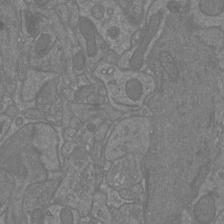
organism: Mouse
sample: Cortical neurons